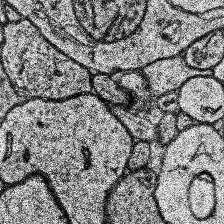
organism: Human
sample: Temporal Lobe